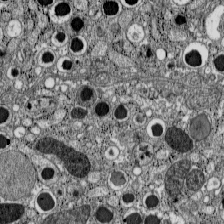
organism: C57BL Mouse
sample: Pancreatic islet